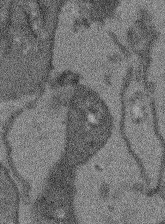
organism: Arabidopsis thaliana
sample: Root tip